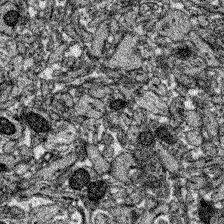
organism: Zebrafish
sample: Larval olfactory bulb